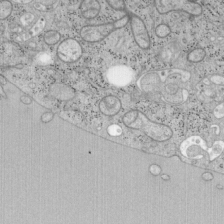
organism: Mouse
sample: OT-I killer T cells with ID8 ovarian cancer cells